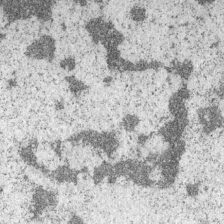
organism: Mouse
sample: OT-I killer T cells with ID8 ovarian cancer cells